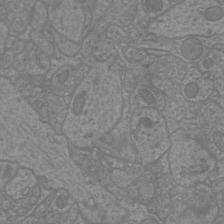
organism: Mouse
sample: Cortical neurons